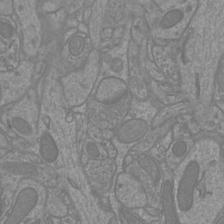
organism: Mouse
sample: Cortical neurons